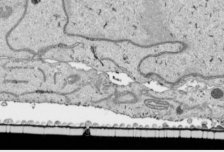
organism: Human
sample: Mitochondria in HCT116 cells